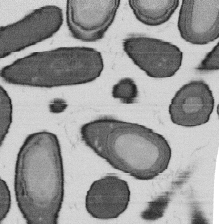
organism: B. subtilis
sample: Bacterial spore